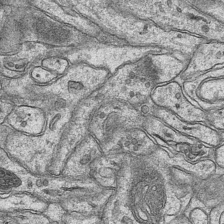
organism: Mouse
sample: CA1 Hippocampus